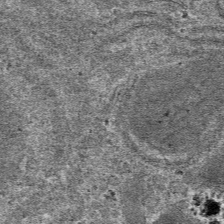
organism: Mouse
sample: Mouse hepatocytes